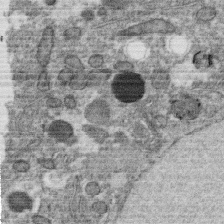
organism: C. elegans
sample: C. elegans oocyte; sperm cells